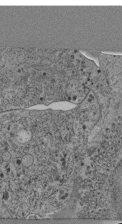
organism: C. elegans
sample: C. elegans pharynx